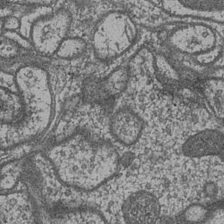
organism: Drosophila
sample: Optic medulla